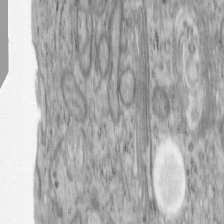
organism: Human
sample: HeLa cells